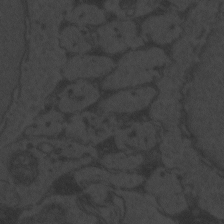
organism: Zebrafish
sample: Macrophage infected with Toxoplasma gondii